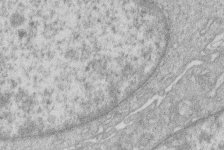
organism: Human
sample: Macrophage cells